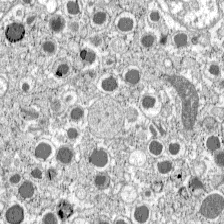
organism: C57BL Mouse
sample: Pancreatic islet